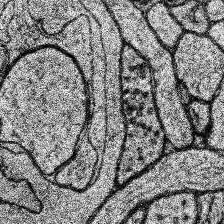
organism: Human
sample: Temporal Lobe